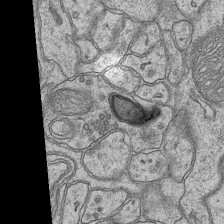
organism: Mouse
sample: CA1 Hippocampus